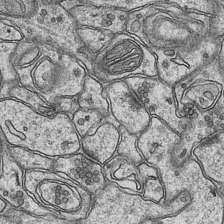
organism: Mouse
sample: CA1 Hippocampus